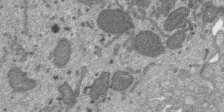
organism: Human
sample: Lung epithelial cells infected with SARS-CoV-2